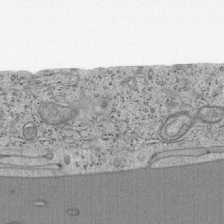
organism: Human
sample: HeLa cells